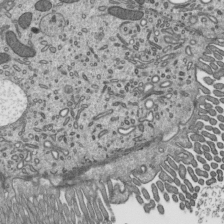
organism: Mouse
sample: Mouse epididymis efferent ductule cilia